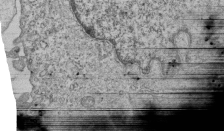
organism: Human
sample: MDA-MB-231 cells